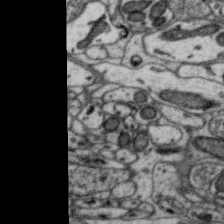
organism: Zebra finch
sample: Brain